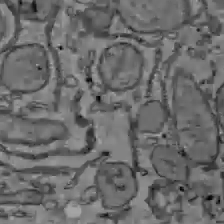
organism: C57BL Mouse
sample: Liver